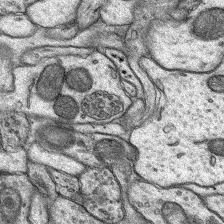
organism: Rat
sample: Hippocampus